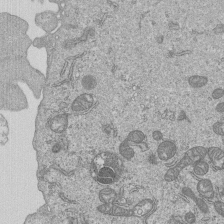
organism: Human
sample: MDA-MB-231 cells